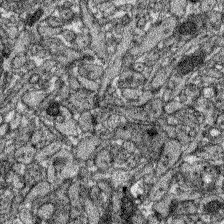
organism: Zebrafish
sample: Larval olfactory bulb